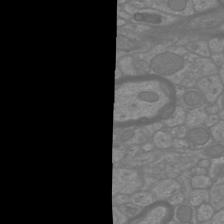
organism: Mouse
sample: Cortical neurons